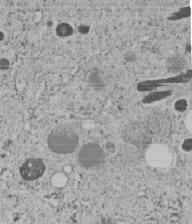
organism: C. elegans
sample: C. elegans embryo early stage